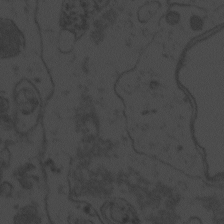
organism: Zebrafish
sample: Macrophage infected with Toxoplasma gondii